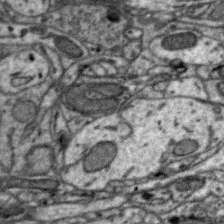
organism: Zebra finch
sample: Brain